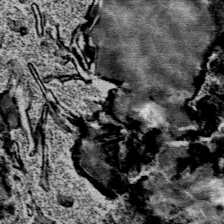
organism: Mouse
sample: Mouse Salivary gland